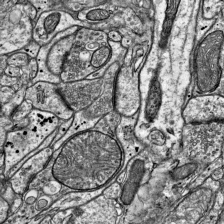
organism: Mouse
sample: Visual Cortex